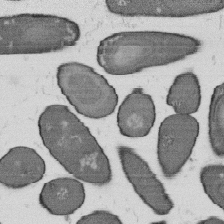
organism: B. subtilis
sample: Bacterial spore